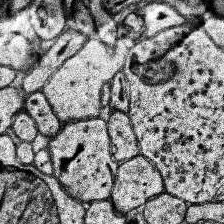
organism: Human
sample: Temporal Lobe